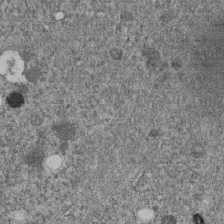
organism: C. elegans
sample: C. elegans embryo early stage